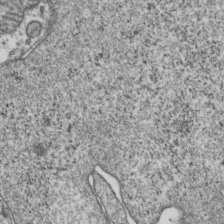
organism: Human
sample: Activated Jurkat CD4+ T cells